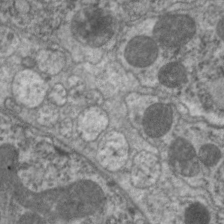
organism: C. elegans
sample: Pharynx